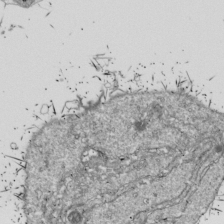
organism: Drosophila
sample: Cell division; meiosis; drosophila spermatocytes